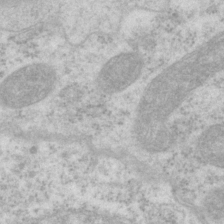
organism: P. pacificus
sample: Pharynx